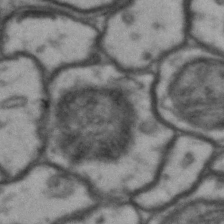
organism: Drosophila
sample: Brain